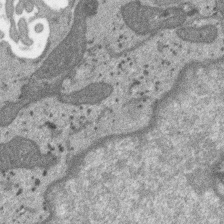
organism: Human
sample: Lung epithelial cells infected with SARS-CoV-2